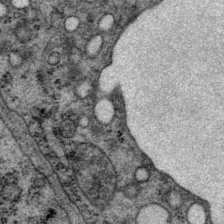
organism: P. pacificus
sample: Pharynx